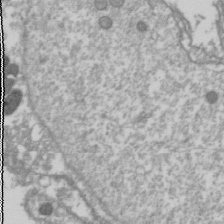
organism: Drosophila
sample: Cell division; meiosis; drosophila spermatocytes